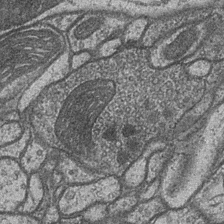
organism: Drosophila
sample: Optic medulla